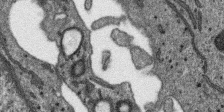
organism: Human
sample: Lung epithelial cells infected with SARS-CoV-2